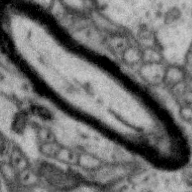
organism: Zebra finch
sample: Brain